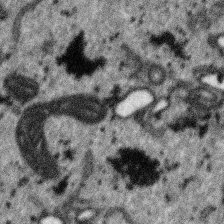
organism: Human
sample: Lung epithelial cells infected with SARS-CoV-2